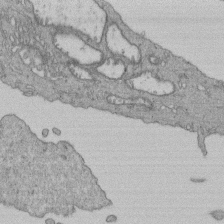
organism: Human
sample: Retinal organoid Rod and Cone cells